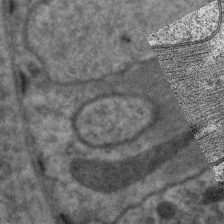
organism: C. elegans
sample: Pharynx